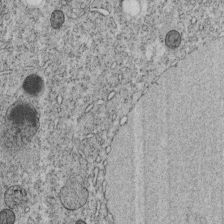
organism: C. elegans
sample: C. elegans embryo early stage